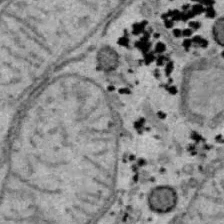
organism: Mouse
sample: Liver from an obese (ob/ob) mouse